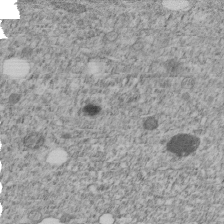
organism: C. elegans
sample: C. elegans embryo early stage